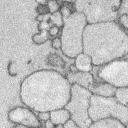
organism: Rabbit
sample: Retina